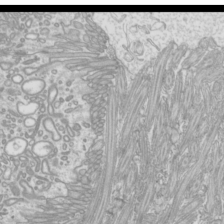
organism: Mouse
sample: Cilia; mouse epididymis